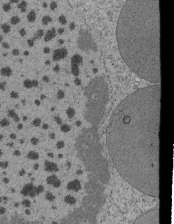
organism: Tetrahymena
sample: Cilia in tetrahymena